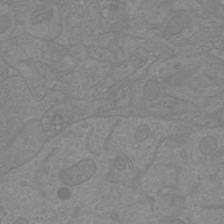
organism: Mouse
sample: Cortical neurons